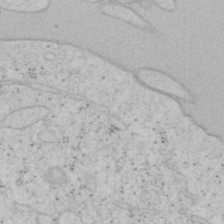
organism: Human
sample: HeLa cells